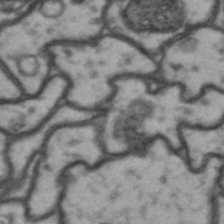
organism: Drosophila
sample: Brain